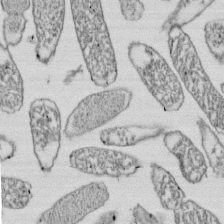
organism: E. coli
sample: Bacterial nucleoid